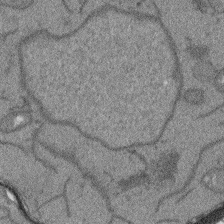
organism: Arabidopsis thaliana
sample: Root tip